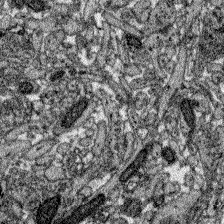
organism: Zebrafish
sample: Larval olfactory bulb